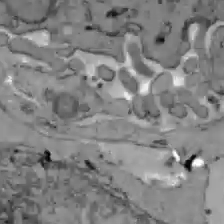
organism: C57BL Mouse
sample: Liver